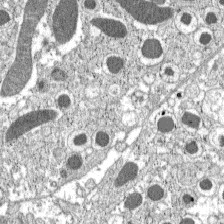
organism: C57BL Mouse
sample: Pancreatic islet